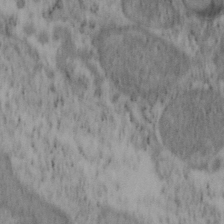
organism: Mouse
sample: OT-I killer T cells with ID8 ovarian cancer cells